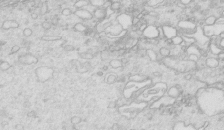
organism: Mouse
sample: Multiciliated cells